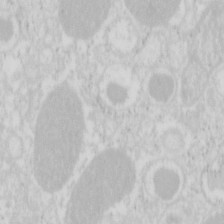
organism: Mouse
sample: Pancreas